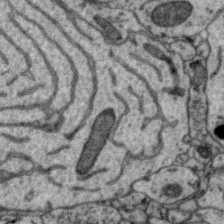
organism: Zebra finch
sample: Brain